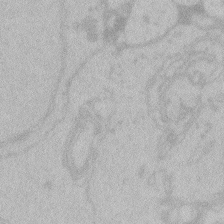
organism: Zebrafish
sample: Macrophage infected with Toxoplasma gondii